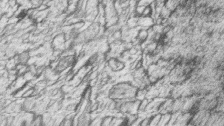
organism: Zebrafish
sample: synaptic ribbons in rod cells and cone cells